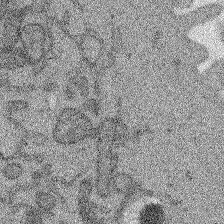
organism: Human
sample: HeLa cells